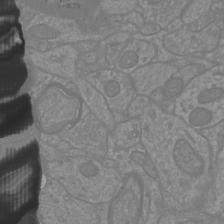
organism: Mouse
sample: Cortical neurons